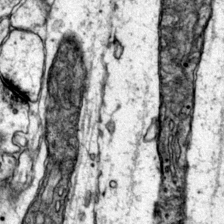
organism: Mouse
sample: Primary visual cortex